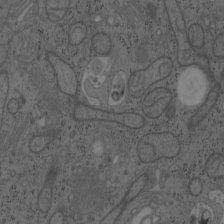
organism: Mouse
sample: OT-I killer T cells with ID8 ovarian cancer cells